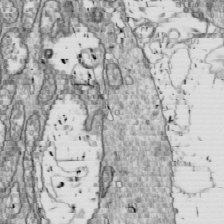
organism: Drosophila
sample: Cell division; meiosis; drosophila spermatocytes